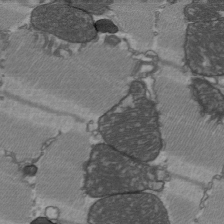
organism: C57BL Mouse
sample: Heart